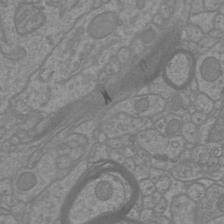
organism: Mouse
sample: Cortical neurons